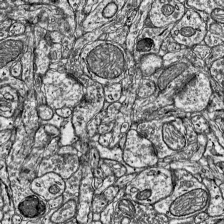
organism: Mouse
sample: Visual Cortex